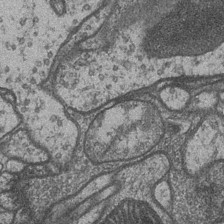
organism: Drosophila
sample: Optic medulla